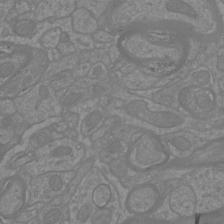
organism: Mouse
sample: Cortical neurons